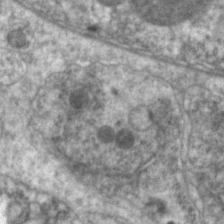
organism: C. elegans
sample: Pharynx